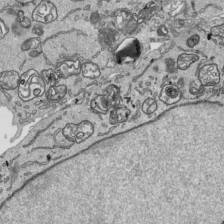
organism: Human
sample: Mitochondria in HCT116 cells